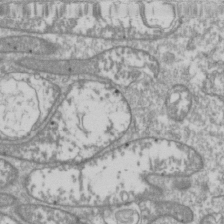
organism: Drosophila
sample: Cell division; meiosis; drosophila spermatocytes